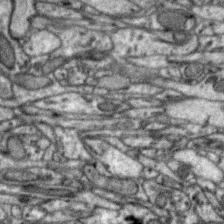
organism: Zebra finch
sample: Brain